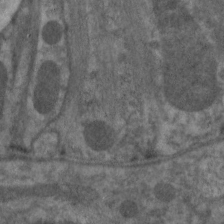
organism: C. elegans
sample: Pharynx